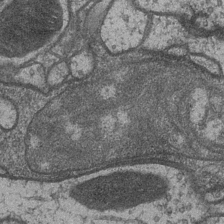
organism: Drosophila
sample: Optic medulla